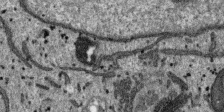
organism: Human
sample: Lung epithelial cells, uninfected (mock) control